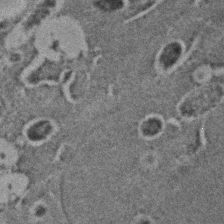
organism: C. elegans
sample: C. elegans embryo